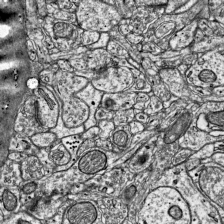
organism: Mouse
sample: Visual Cortex